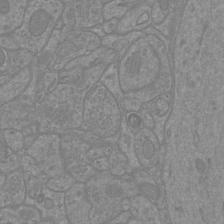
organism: Mouse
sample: Cortical neurons